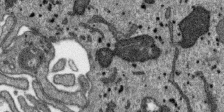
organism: Human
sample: Lung epithelial cells, uninfected (mock) control